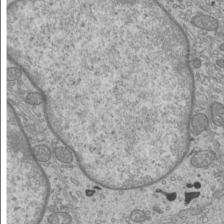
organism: Mouse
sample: Cilia; mouse epididymis